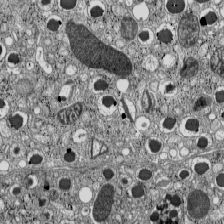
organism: C57BL Mouse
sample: Pancreatic islet